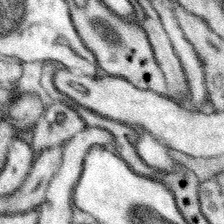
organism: Mouse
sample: Somatosensory cortex neuropil